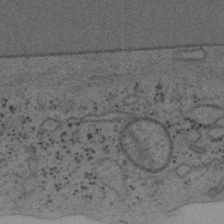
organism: Human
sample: HeLa cells